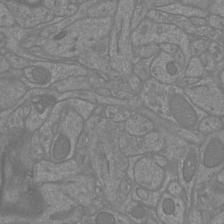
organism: Mouse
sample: Cortical neurons